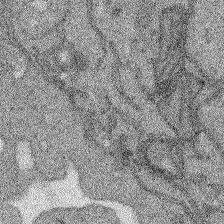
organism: Human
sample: HeLa cells